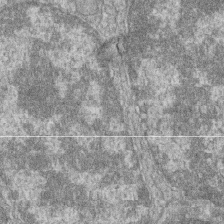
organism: Zebrafish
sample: Cilia; retinal pigment epithelium